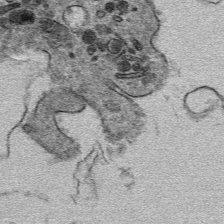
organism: Mouse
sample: Mouse hepatocytes